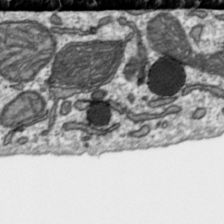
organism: Toxoplasma gondii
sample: Parasites in a vacuole inside a host cell